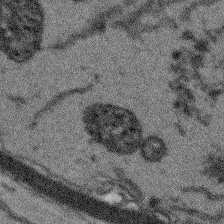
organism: Arabidopsis thaliana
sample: Root tip